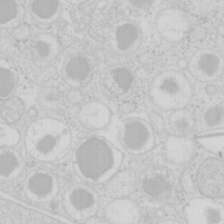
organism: Mouse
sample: Pancreas